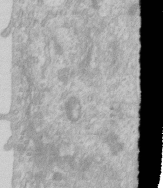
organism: Human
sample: Centriole in RPE cells